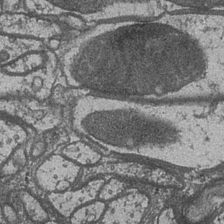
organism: Drosophila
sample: Optic medulla